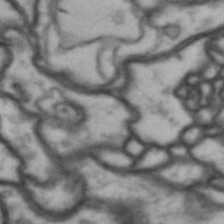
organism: Drosophila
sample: Brain